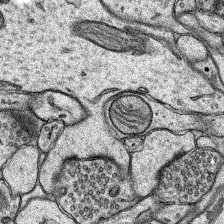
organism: Rat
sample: Hippocampus